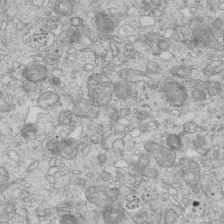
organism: Mouse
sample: Multiciliated cells